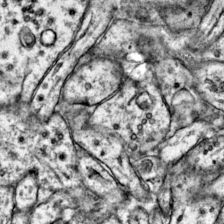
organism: Mouse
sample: Primary visual cortex